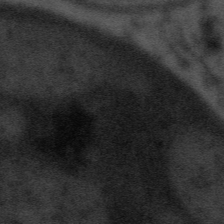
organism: Tuwongella immobilis